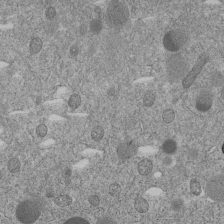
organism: C. elegans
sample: C. elegans embryo early stage